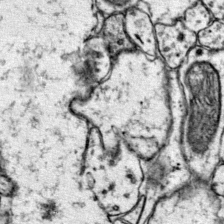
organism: Mouse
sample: Primary visual cortex